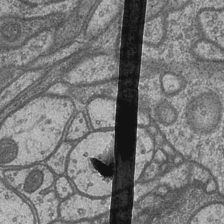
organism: Drosophila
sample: Optic medulla